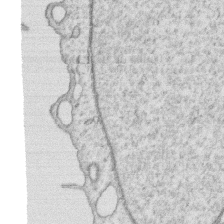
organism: Human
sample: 1205lu cells